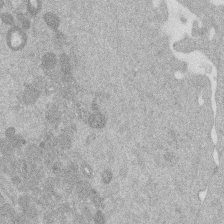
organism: Mouse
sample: Dividing mouse embryo 1 cell stage